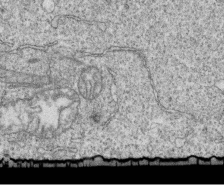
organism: Human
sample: HeLa cell HIV synapse